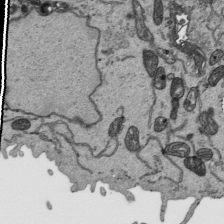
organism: Human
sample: Mitochondria in HCT116 cells